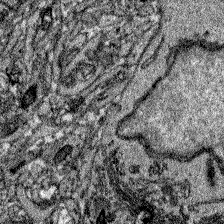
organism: Zebrafish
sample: Larval olfactory bulb